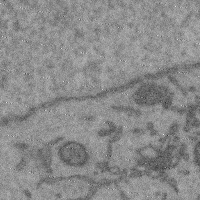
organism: Mouse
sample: Cerebral cortex